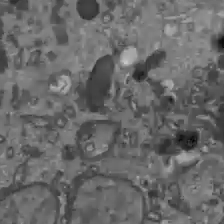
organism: C57BL Mouse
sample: Liver